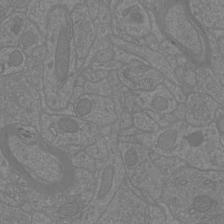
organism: Mouse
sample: Cortical neurons